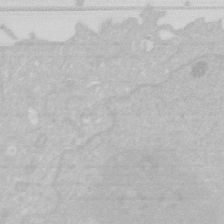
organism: Human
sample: HIV infected U937 cells